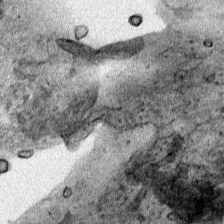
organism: Human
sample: Mitochondria in HCT116 cells